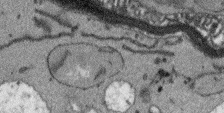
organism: Arabidopsis thaliana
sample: Root tip